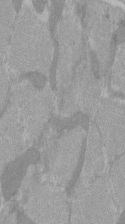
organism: C57BL Mouse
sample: Tibialis anterior muscle cell